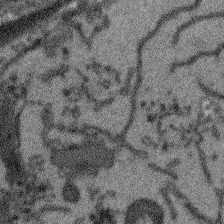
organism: Arabidopsis thaliana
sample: Root tip